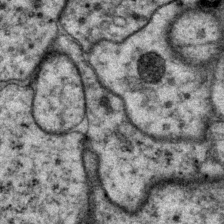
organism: P. pacificus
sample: Pharynx